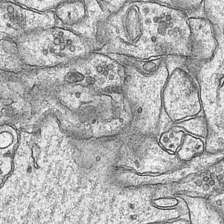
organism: Mouse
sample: CA1 Hippocampus